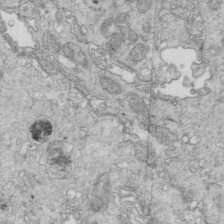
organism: Mouse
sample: Multiciliated cells